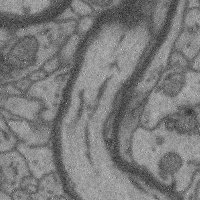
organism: Mouse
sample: Cerebral cortex